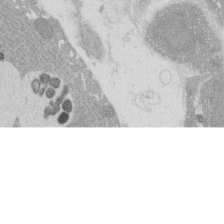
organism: Rat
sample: Salivary granule